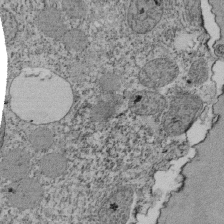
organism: Tetrahymena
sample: Cilia in tetrahymena